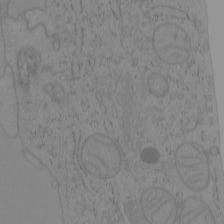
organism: Human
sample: HeLa cells